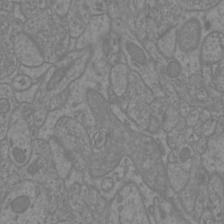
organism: Mouse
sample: Cortical neurons